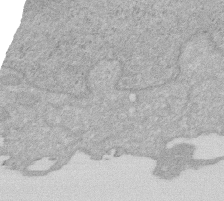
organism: Human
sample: HIV infected U937 cells